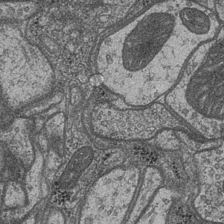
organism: Drosophila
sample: Optic medulla